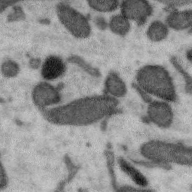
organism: Zebra finch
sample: Brain